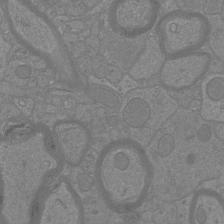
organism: Mouse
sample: Cortical neurons